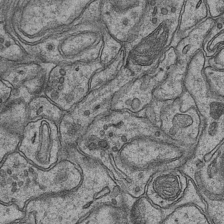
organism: Mouse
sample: CA1 Hippocampus